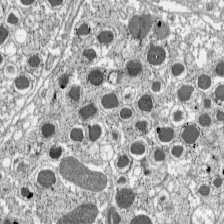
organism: C57BL Mouse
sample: Pancreatic islet